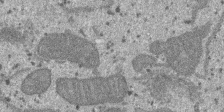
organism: Human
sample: Lung epithelial cells infected with SARS-CoV-2